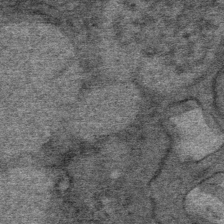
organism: Mouse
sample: Mouse Salivary gland